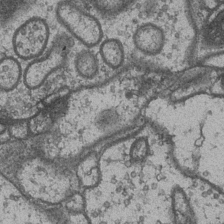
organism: Drosophila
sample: Optic medulla